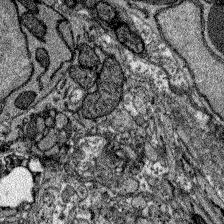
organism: Zebrafish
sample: Larval olfactory bulb